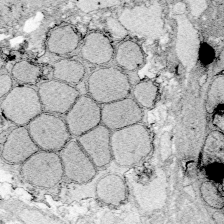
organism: Zebrafish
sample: Whole-Brain